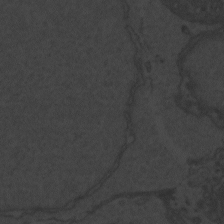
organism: Zebrafish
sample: Macrophage infected with Toxoplasma gondii